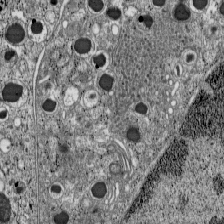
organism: C57BL Mouse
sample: Pancreatic islet